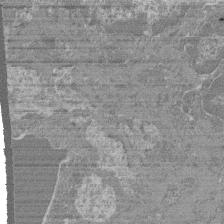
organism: Mouse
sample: Glomerulus